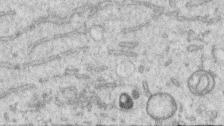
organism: Human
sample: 1205lu cells